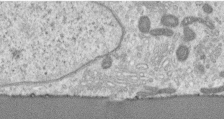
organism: Human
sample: Centriole in RPE cells